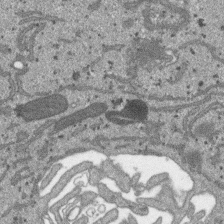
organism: Human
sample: Lung epithelial cells infected with SARS-CoV-2